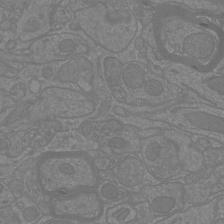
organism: Mouse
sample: Cortical neurons